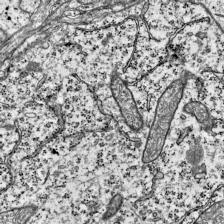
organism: Mouse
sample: Visual Cortex